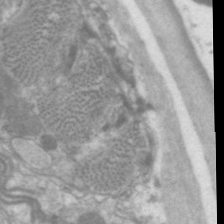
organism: C. elegans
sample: Pharynx